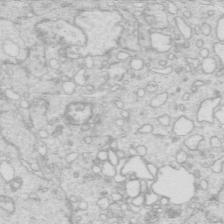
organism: Mouse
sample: Multiciliated cells